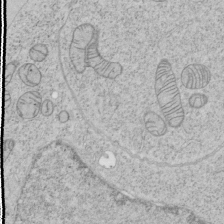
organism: Human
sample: Mitochondria in HCT116 cells